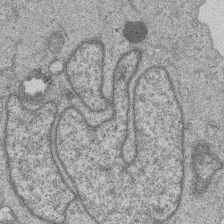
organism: Human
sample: MDA-MB-231 cells